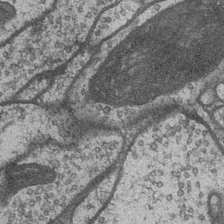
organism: Drosophila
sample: Optic medulla